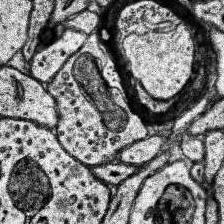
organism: Human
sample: Temporal Lobe